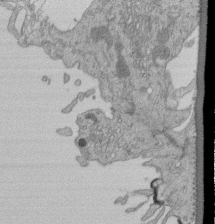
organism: Human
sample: Retinal organoid Rod and Cone cells